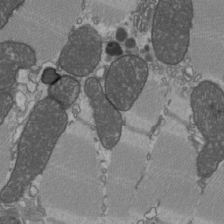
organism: C57BL Mouse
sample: Heart